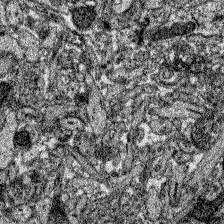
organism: Zebrafish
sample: Larval olfactory bulb